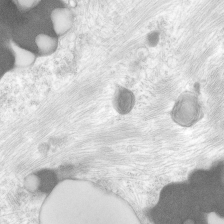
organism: Human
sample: Neocortex